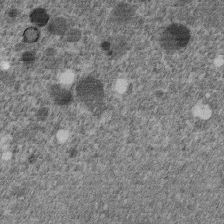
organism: C. elegans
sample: C. elegans embryo early stage